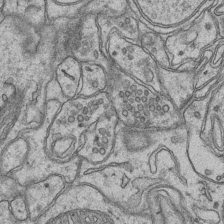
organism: Mouse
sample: CA1 Hippocampus